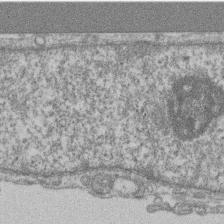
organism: Mouse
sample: T cell stromal cell synapse